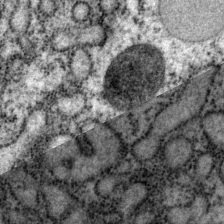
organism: P. pacificus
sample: Pharynx